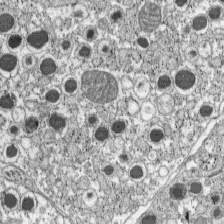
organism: C57BL Mouse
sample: Pancreatic islet